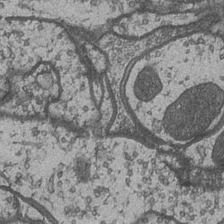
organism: Drosophila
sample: Optic medulla